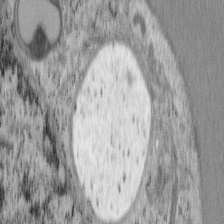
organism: Human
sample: HeLa cells